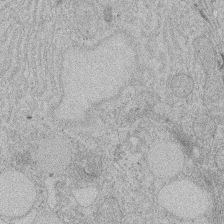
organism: Rat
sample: Salivary granule